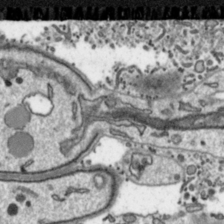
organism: Toxoplasma gondii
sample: Parasites in a vacuole inside a host cell